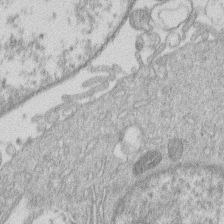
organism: Human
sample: Macrophage cells